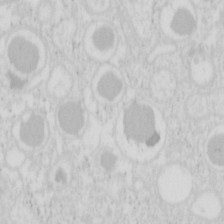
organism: Mouse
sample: Pancreas